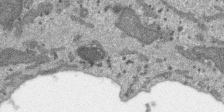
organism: Human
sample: Lung epithelial cells infected with SARS-CoV-2